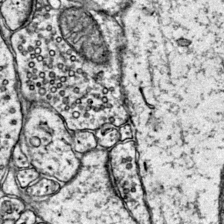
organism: Mouse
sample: Primary visual cortex